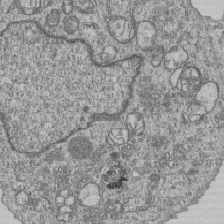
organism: Human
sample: MDA-MB-231 cells